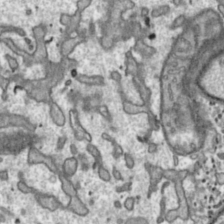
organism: Toxoplasma gondii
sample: Parasites in a vacuole inside a host cell